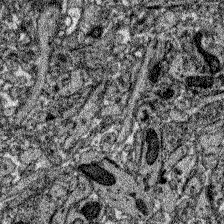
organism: Zebrafish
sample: Larval olfactory bulb